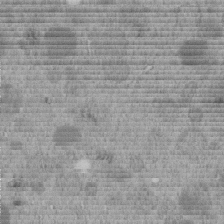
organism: C. elegans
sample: C. elegans embryo early stage